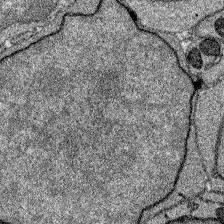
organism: Zebrafish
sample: Larval olfactory bulb